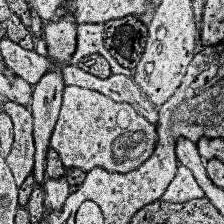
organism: Human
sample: Temporal Lobe